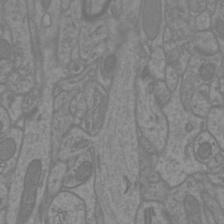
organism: Mouse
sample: Cortical neurons